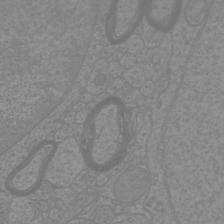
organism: Mouse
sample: Cortical neurons